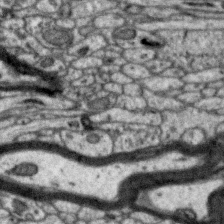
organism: Zebra finch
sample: Brain